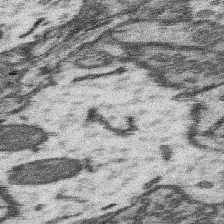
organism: Mouse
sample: Somatosensory cortex neuropil